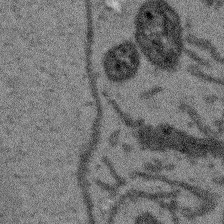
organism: Arabidopsis thaliana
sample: Root tip